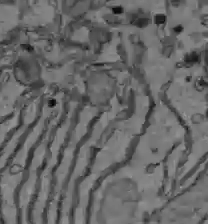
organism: C57BL Mouse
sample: Liver